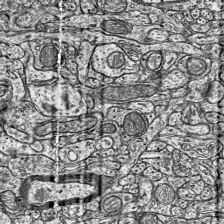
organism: Mouse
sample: Visual Cortex